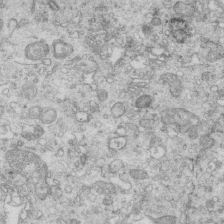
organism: Mouse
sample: Multiciliated cells